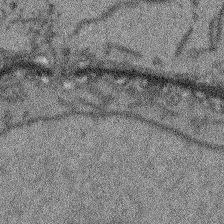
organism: Arabidopsis thaliana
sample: Root tip